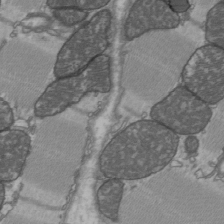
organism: C57BL Mouse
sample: Heart